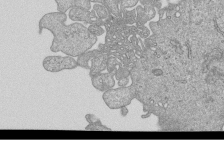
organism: Human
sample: MDA-MB-231 cells